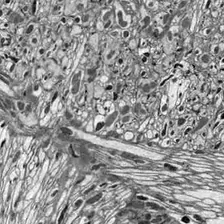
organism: Drosophila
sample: Optic lobe